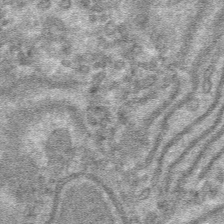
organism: Mouse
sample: Mouse hepatocytes